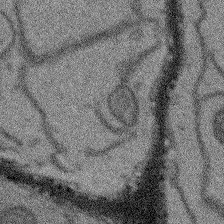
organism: Arabidopsis thaliana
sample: Root tip